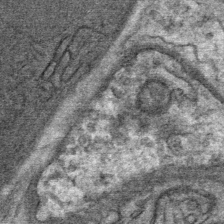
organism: Mouse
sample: Mouse Salivary gland